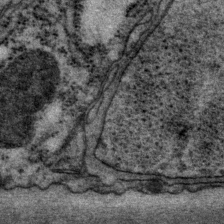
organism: P. pacificus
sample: Pharynx